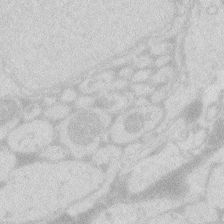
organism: Zebrafish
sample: Macrophage